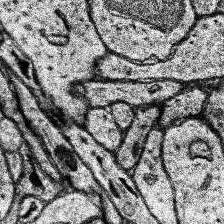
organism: Human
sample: Temporal Lobe